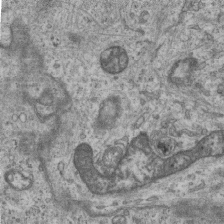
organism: Mouse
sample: Centriole in ependymal cells